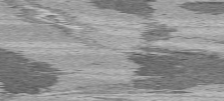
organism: C57BL Mouse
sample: Heart